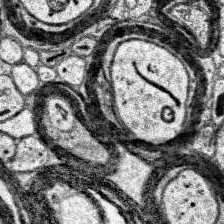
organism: Human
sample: Temporal Lobe